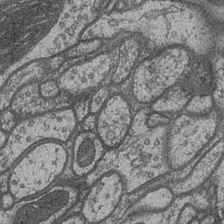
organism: Drosophila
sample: Optic medulla